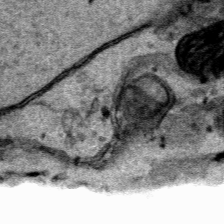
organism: Human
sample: Mitochondria in HCT116 cells